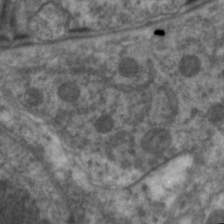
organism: C. elegans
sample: Pharynx